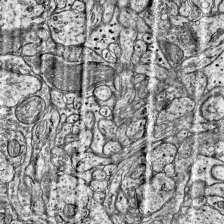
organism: Mouse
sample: Visual Cortex